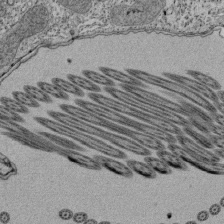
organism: Tetrahymena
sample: Cilia in tetrahymena